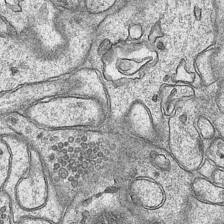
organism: Mouse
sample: CA1 Hippocampus